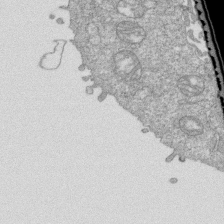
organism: Human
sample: HeLa cell HIV synapse